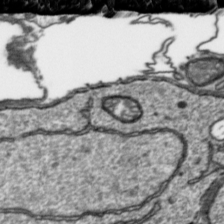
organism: Toxoplasma gondii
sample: Parasites in a vacuole inside a host cell